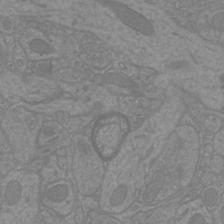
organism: Mouse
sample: Cortical neurons